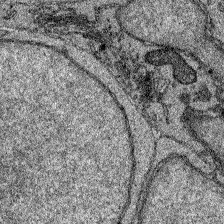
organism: Zebrafish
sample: Larval olfactory bulb